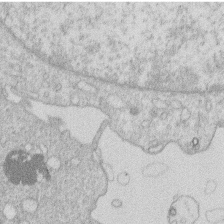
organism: Human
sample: Macrophage cells